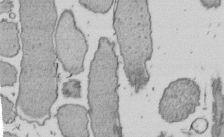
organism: E. coli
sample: Bacterial nucleoid